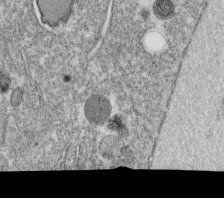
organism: C. elegans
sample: C. elegans oocyte; sperm cells